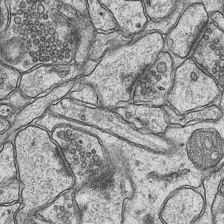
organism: Mouse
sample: CA1 Hippocampus